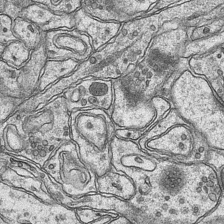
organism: Mouse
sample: CA1 Hippocampus